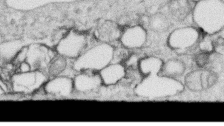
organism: Human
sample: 1205lu cells